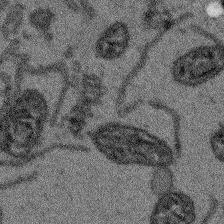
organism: Arabidopsis thaliana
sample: Root tip